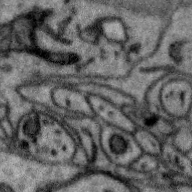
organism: Zebra finch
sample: Brain